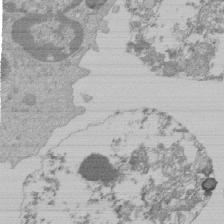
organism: Mouse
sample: Activated Pmel transgenic CD8+ T Cells